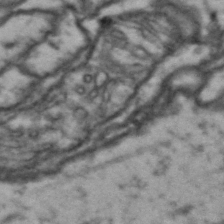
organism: Drosophila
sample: Brain